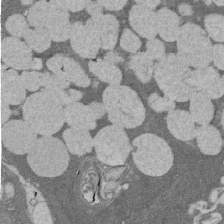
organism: Rat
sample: Salivary granule